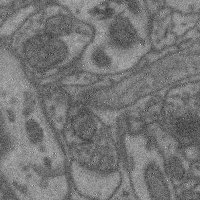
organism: Mouse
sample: Cerebral cortex